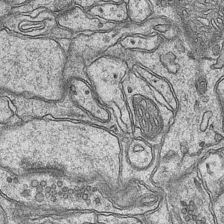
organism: Mouse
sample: CA1 Hippocampus